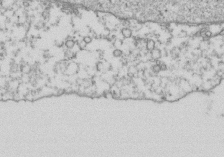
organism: Human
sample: Activated Jurkat CD4+ T cells